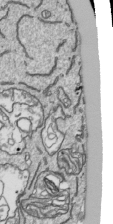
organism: Human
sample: Mitochondria in HCT116 cells